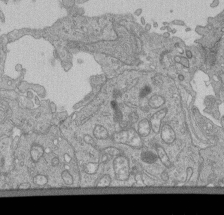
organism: Human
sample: Retinal organoid Rod and Cone cells